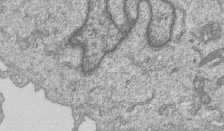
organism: Human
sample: MDA-MB-231 cells